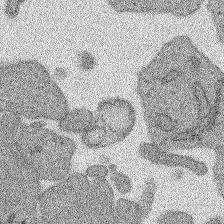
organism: Human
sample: HeLa cells